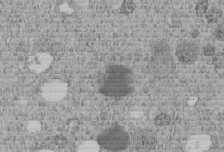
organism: C. elegans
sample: C. elegans embryo early stage